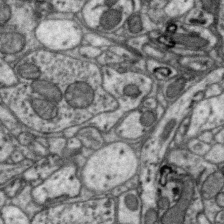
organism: Zebra finch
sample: Brain